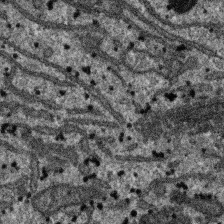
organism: Human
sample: Lung epithelial cells infected with SARS-CoV-2